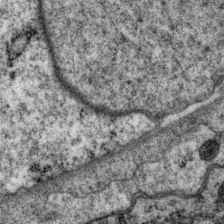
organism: P. pacificus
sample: Pharynx